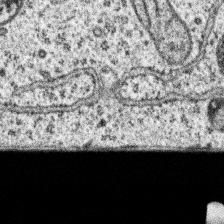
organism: Human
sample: HeLa cells